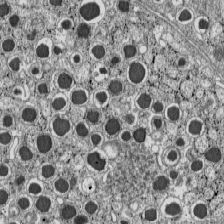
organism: C57BL Mouse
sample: Pancreatic islet